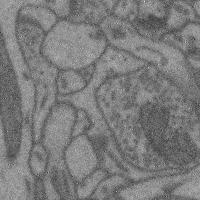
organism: Mouse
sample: Cerebral cortex